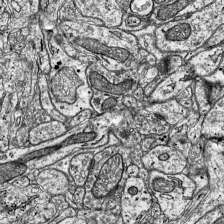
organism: Mouse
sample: Visual Cortex